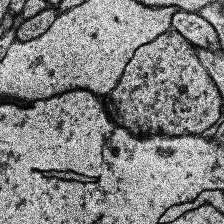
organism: Human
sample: Temporal Lobe